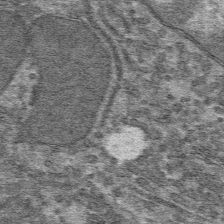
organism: Mouse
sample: Mouse hepatocytes